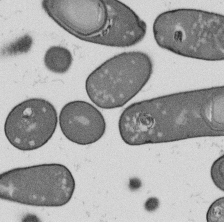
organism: B. subtilis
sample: Bacterial spore